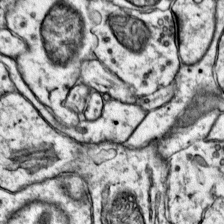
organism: Mouse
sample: Primary visual cortex